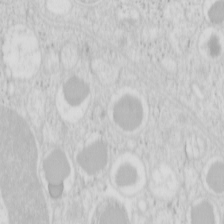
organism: Mouse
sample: Pancreas